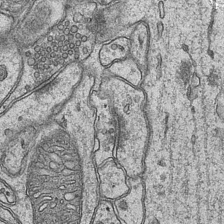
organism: Mouse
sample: CA1 Hippocampus